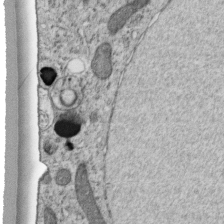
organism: C. elegans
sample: C. elegans embryo early stage